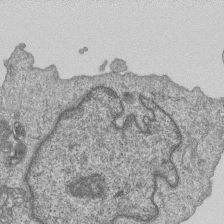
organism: Human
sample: MDA-MB-231 cells